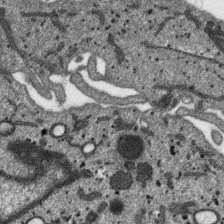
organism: Human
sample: Lung epithelial cells infected with SARS-CoV-2